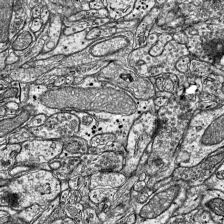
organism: Mouse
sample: Visual Cortex